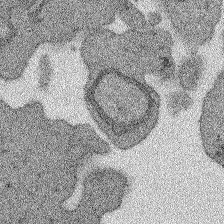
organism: Human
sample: HeLa cells